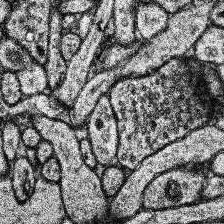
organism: Human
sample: Temporal Lobe